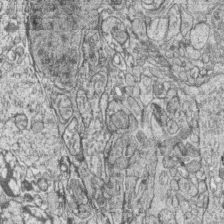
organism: Zebrafish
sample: synaptic ribbons in rod cells and cone cells